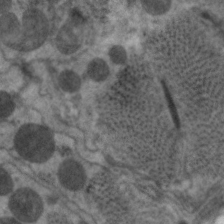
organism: C. elegans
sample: Pharynx